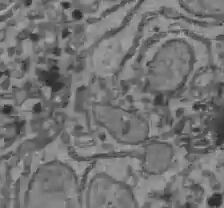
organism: C57BL Mouse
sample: Liver